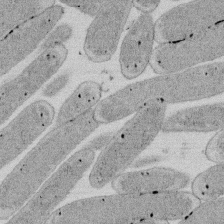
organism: E. coli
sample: Bacterial nucleoid